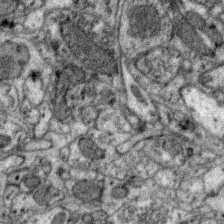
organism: Zebra finch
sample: Brain